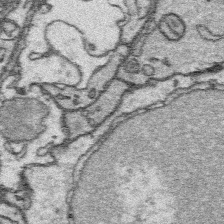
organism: Platynereis dumerilii